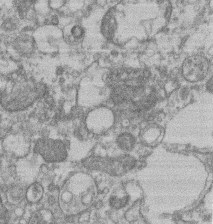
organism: Mouse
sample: T cell stromal cell synapse